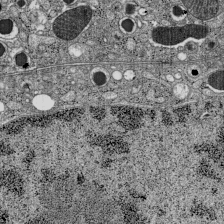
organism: C57BL Mouse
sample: Pancreatic islet